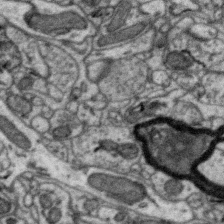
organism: Zebra finch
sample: Brain